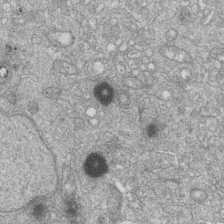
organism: Human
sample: HeLa cell HIV synapse